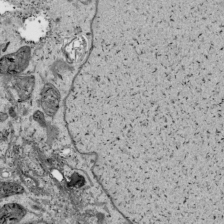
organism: Human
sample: Mitochondria in HCT116 cells